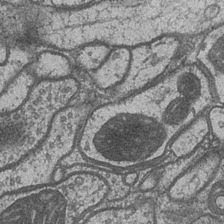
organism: Drosophila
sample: Optic medulla